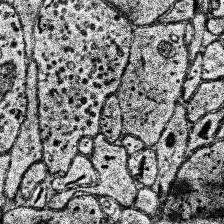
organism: Human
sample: Temporal Lobe